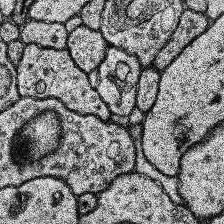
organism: Human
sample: Temporal Lobe